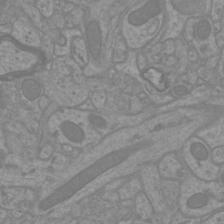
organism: Mouse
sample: Cortical neurons